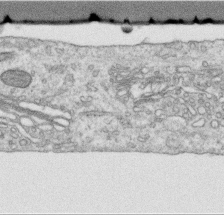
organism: Human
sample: Centriole in RPE cells